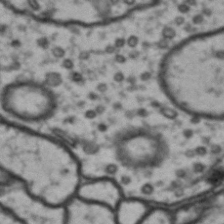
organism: Drosophila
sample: Brain